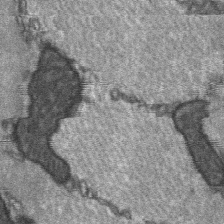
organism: C57BL Mouse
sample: Soleus